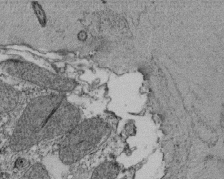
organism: Tetrahymena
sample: Cilia in tetrahymena